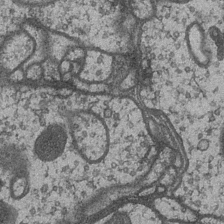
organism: Drosophila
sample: Optic medulla